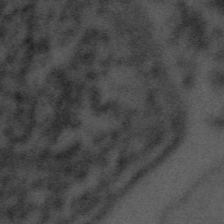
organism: Tuwongella immobilis